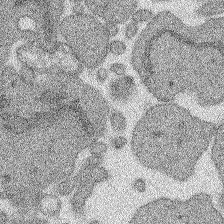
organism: Human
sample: HeLa cells